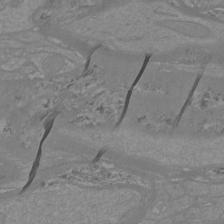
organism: Mouse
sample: Cortical neurons